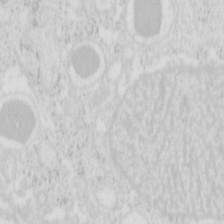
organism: Mouse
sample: Pancreas